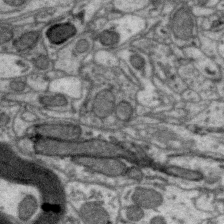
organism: Zebra finch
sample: Brain